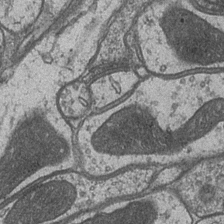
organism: Drosophila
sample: Optic medulla